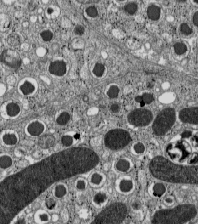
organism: C57BL Mouse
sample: Pancreatic islet